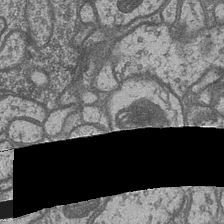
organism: Drosophila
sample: Optic medulla